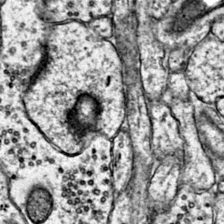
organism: Mouse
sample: Primary visual cortex